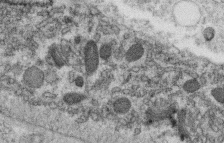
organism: C. elegans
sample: C. elegans oocyte; sperm cells